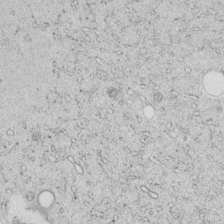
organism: C. elegans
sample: C. elegans embryo early stage